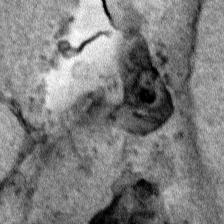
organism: Human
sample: Mitochondria in HCT116 cells